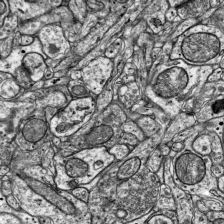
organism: Mouse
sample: Visual Cortex